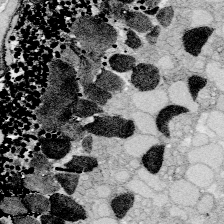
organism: Zebrafish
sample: Whole-Brain